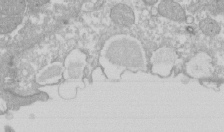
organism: Xenopus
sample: Cilia; centrioles in frog embryo cells